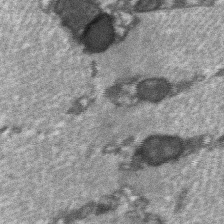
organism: C57BL Mouse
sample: Soleus